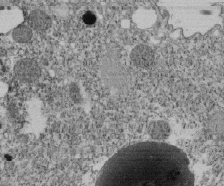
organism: Tetrahymena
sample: Cilia in tetrahymena